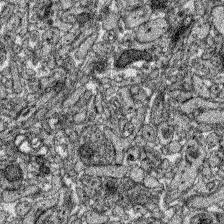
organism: Zebrafish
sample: Larval olfactory bulb